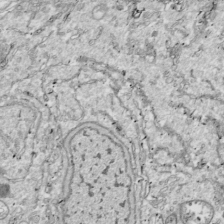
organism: Drosophila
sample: Cell division; meiosis; drosophila spermatocytes